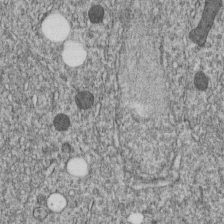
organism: C. elegans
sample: C. elegans embryo early stage